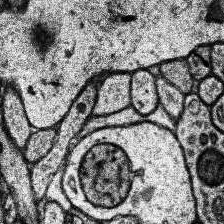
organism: Human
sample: Temporal Lobe